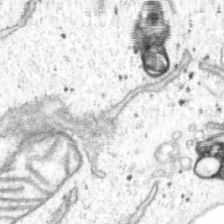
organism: Human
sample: HeLa cells